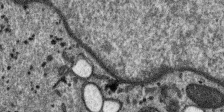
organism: Human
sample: Lung epithelial cells infected with SARS-CoV-2